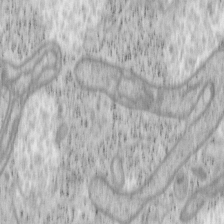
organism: Human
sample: HeLa cells